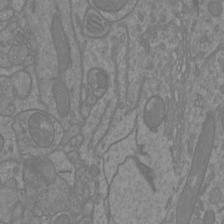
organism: Mouse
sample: Cortical neurons